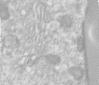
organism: Human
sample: Centriole in RPE cells